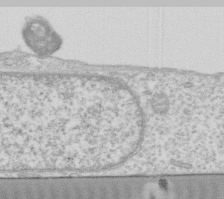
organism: Human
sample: Fibroblast cells